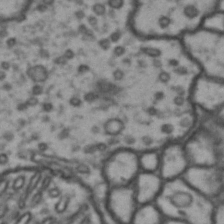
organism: Drosophila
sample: Brain